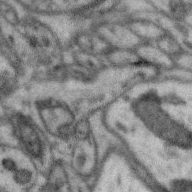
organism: Zebra finch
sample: Brain